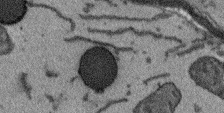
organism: Arabidopsis thaliana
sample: Root tip